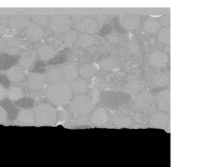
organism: C. elegans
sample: C. elegans oocyte; sperm cells